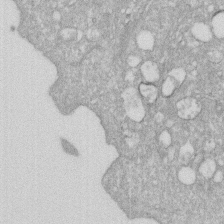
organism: Human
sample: HIV infected U937 cells